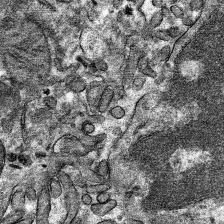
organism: Mouse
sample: Mouse hepatocytes